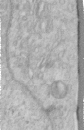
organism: Human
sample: Centriole in RPE cells